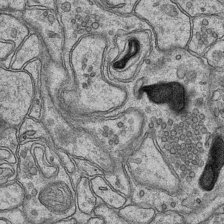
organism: Mouse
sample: CA1 Hippocampus